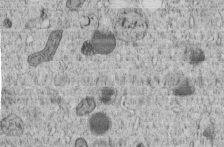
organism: C. elegans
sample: C. elegans embryo early stage